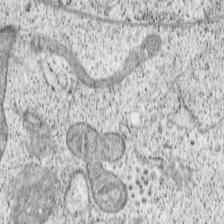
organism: African green monkey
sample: COS-7 cells